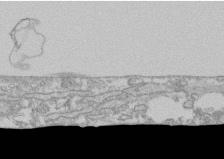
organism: Human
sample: CRL-1474